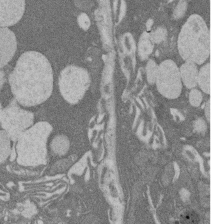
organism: Rat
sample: Salivary granule